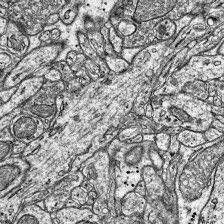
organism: Mouse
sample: Visual Cortex